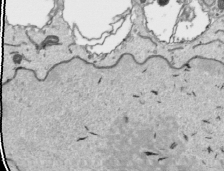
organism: Human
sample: Mitochondria in HCT116 cells